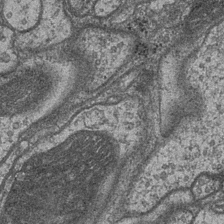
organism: Drosophila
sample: Optic medulla